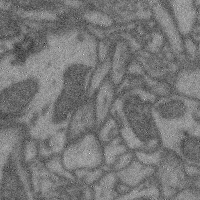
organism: Mouse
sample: Cerebral cortex